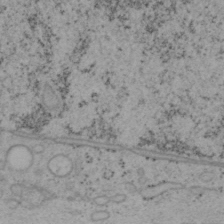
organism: Human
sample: HeLa cells